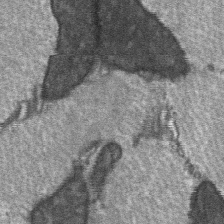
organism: C57BL Mouse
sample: Soleus